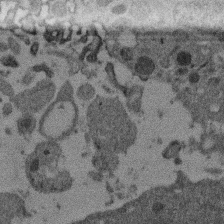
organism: Mouse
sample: Dividing mouse embryo 1 cell stage